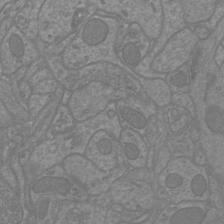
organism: Mouse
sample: Cortical neurons